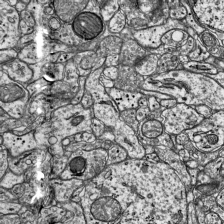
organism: Mouse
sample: Visual Cortex